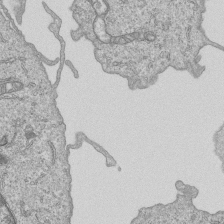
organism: Human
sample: MDA-MB-231 cells